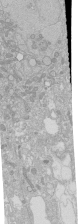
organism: Human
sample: Caco-2 cells